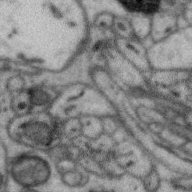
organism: Zebra finch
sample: Brain